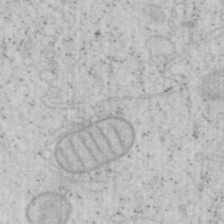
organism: Human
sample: HeLa cells